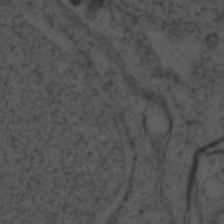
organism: Zebrafish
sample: Zebrafish embryo